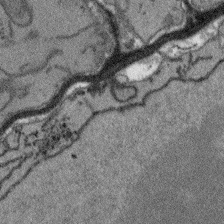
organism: Arabidopsis thaliana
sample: Root tip